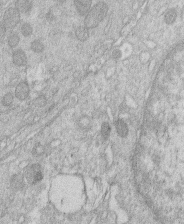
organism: Human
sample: Macrophage cells